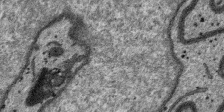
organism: Human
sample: Lung epithelial cells, uninfected (mock) control